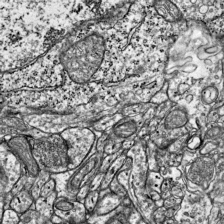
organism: Mouse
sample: Visual Cortex